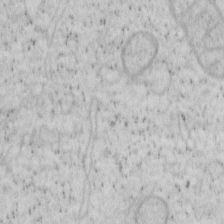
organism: Human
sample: HeLa cells